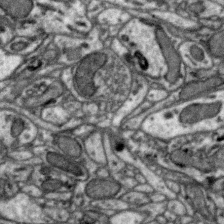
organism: Zebra finch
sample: Brain